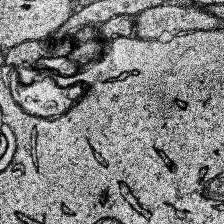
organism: Human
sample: Temporal Lobe